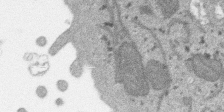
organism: Human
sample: Lung epithelial cells infected with SARS-CoV-2